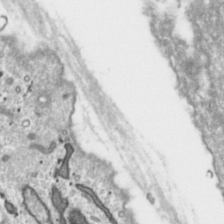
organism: Toxoplasma gondii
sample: Parasites in a vacuole inside a host cell